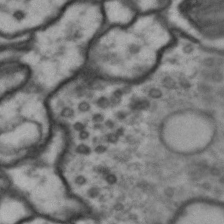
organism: Drosophila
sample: Brain